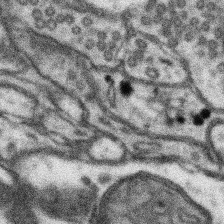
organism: Mouse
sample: Somatosensory cortex neuropil